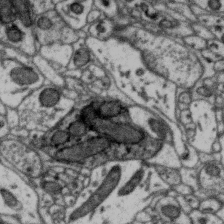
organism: Zebra finch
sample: Brain